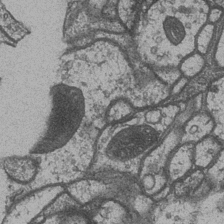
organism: Drosophila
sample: Optic medulla